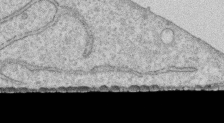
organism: Human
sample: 1205lu cells